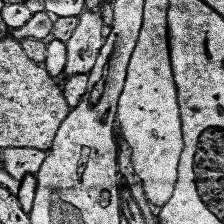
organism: Human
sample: Temporal Lobe